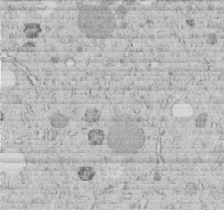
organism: C. elegans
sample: C. elegans embryo early stage